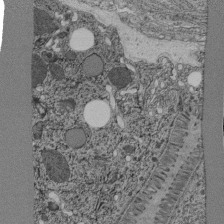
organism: C. elegans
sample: C. elegans pharynx